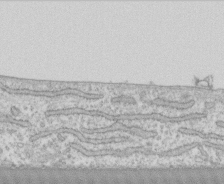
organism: Human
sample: CRL-1474